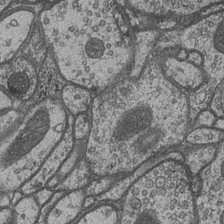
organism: Drosophila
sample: Optic medulla